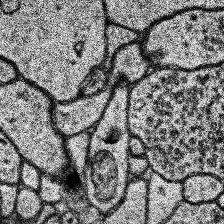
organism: Human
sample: Temporal Lobe